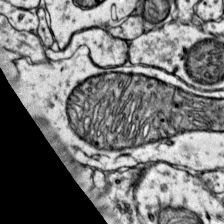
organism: Mouse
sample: Primary visual cortex